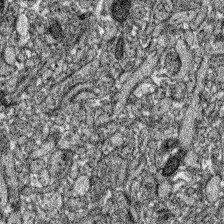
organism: Zebrafish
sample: Larval olfactory bulb